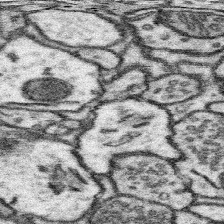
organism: Mouse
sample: Somatosensory cortex neuropil